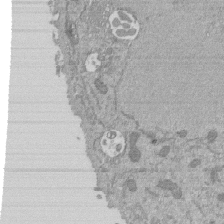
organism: Mouse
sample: ED-1 cell nuclei; centrioles